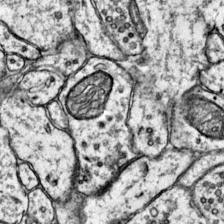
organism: Mouse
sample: Primary visual cortex